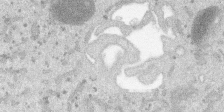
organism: Human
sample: Lung epithelial cells infected with SARS-CoV-2